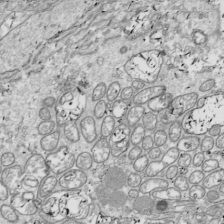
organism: Drosophila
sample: Cell division; meiosis; drosophila spermatocytes